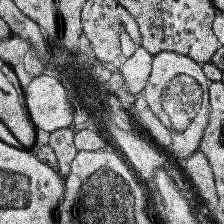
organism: Human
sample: Temporal Lobe